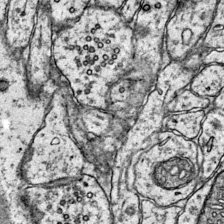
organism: Mouse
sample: Primary visual cortex